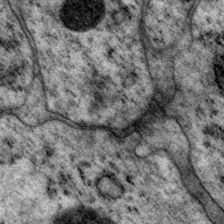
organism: P. pacificus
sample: Pharynx